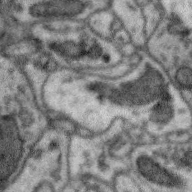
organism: Zebra finch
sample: Brain